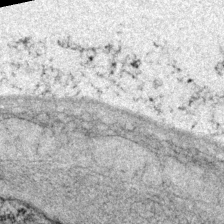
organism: P. pacificus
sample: Pharynx